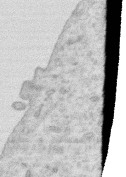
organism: Human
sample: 1205lu cells